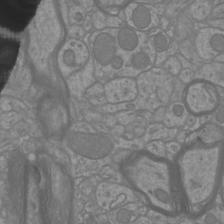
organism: Mouse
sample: Cortical neurons